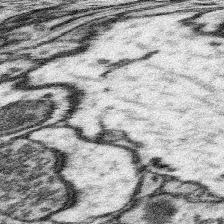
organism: Mouse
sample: Somatosensory cortex neuropil